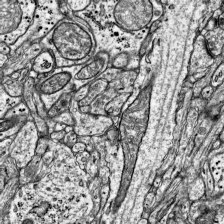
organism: Mouse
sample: Visual Cortex